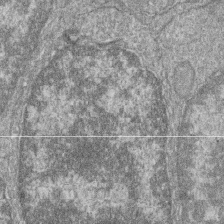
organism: Zebrafish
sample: Cilia; retinal pigment epithelium